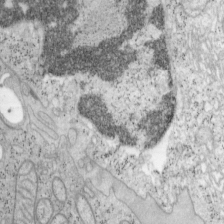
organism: Mouse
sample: OT-I killer T cells with ID8 ovarian cancer cells